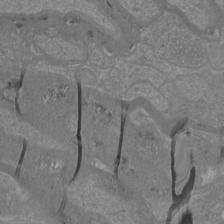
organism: Mouse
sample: Cortical neurons